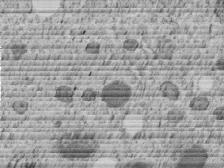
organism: C. elegans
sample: C. elegans embryo early stage